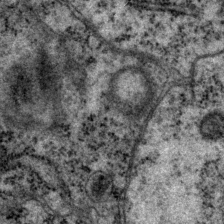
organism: P. pacificus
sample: Pharynx